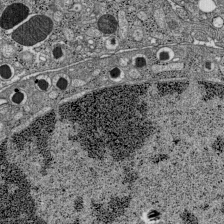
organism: C57BL Mouse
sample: Pancreatic islet